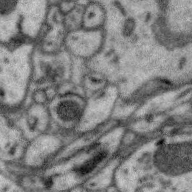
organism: Zebra finch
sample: Brain